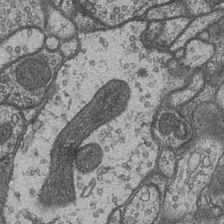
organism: Drosophila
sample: Optic medulla